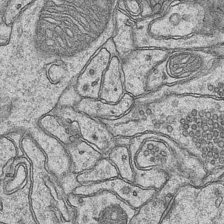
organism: Mouse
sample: CA1 Hippocampus